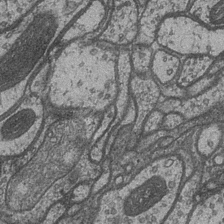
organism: Drosophila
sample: Optic medulla